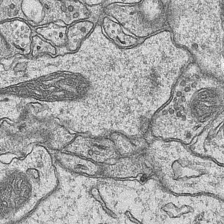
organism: Mouse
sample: CA1 Hippocampus